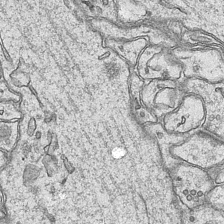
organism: Mouse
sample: CA1 Hippocampus